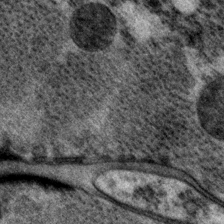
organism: P. pacificus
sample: Pharynx